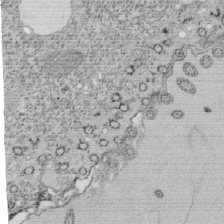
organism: Tetrahymena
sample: Cilia in tetrahymena